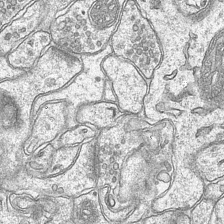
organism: Mouse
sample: CA1 Hippocampus